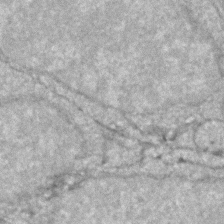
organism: Zebrafish